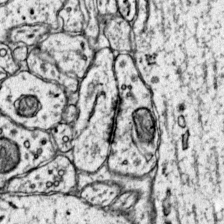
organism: Mouse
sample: Primary visual cortex